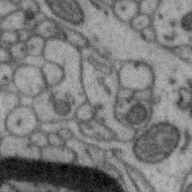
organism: Zebra finch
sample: Brain